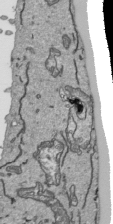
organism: Human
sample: Mitochondria in HCT116 cells